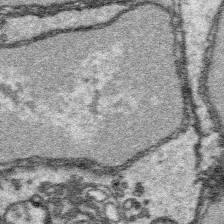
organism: Platynereis dumerilii